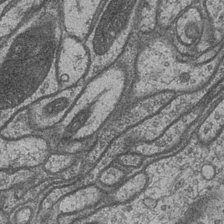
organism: Drosophila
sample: Optic medulla